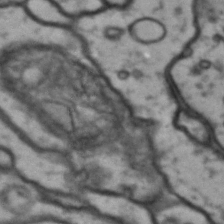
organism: Drosophila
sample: Brain